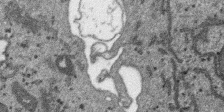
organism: Human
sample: Lung epithelial cells infected with SARS-CoV-2